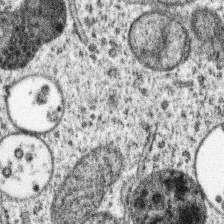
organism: Human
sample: HeLa cells